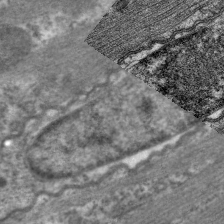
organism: C. elegans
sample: Pharynx